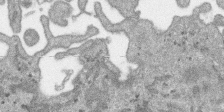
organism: Human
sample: Lung epithelial cells infected with SARS-CoV-2